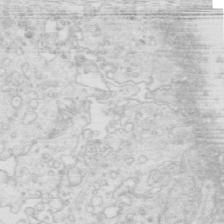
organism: Mouse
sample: Multiciliated cells